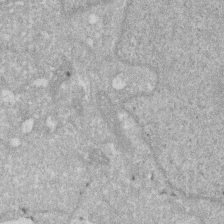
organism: Human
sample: HIV infected U937 cells